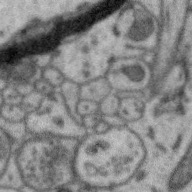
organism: Zebra finch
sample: Brain